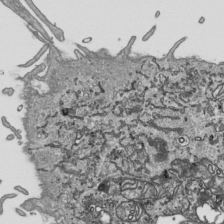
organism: Human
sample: Mitochondria in HCT116 cells